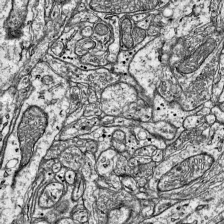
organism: Mouse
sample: Visual Cortex